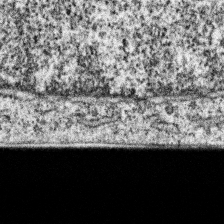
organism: Human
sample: HeLa cells